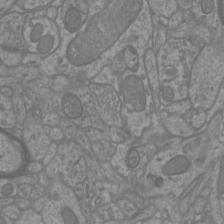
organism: Mouse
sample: Cortical neurons